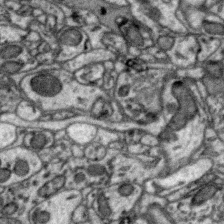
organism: Zebra finch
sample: Brain